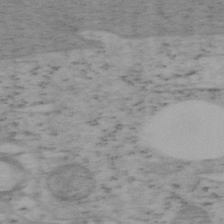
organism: Mouse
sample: OT-I killer T cells with ID8 ovarian cancer cells